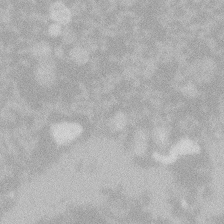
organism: Zebrafish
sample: Macrophage